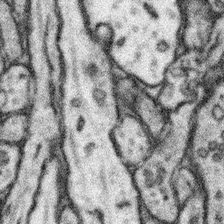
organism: Mouse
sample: Somatosensory cortex neuropil